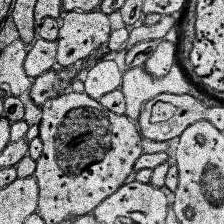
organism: Human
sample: Temporal Lobe